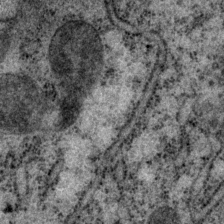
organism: P. pacificus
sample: Pharynx